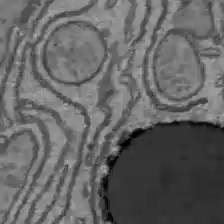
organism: C57BL Mouse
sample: Liver